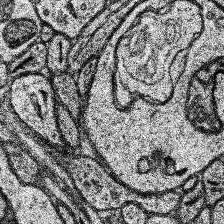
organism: Human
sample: Temporal Lobe